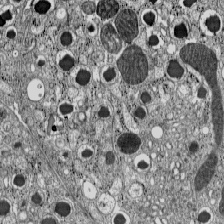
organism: C57BL Mouse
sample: Pancreatic islet